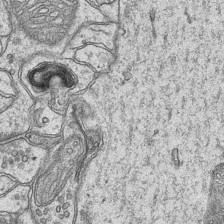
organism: Mouse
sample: CA1 Hippocampus